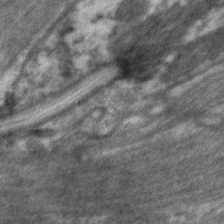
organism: C. elegans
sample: Pharynx